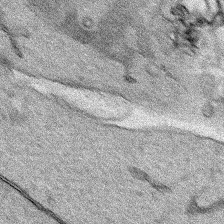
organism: Human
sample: Mitochondria in HCT116 cells